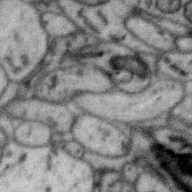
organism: Zebra finch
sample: Brain